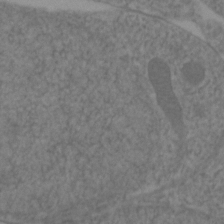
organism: Zebrafish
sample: Zebrafish embryo